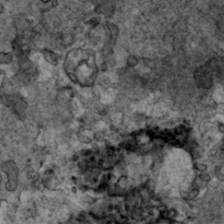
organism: Human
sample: Mitochondria in HCT116 cells